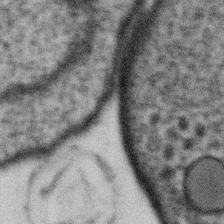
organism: Gemmata obscuriglobus